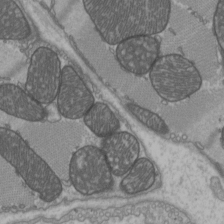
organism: C57BL Mouse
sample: Heart